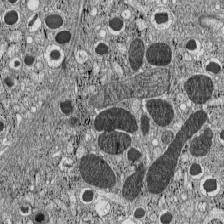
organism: C57BL Mouse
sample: Pancreatic islet